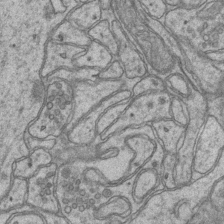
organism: Mouse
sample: CA1 Hippocampus